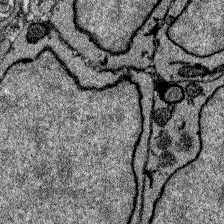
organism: Zebrafish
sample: Larval olfactory bulb